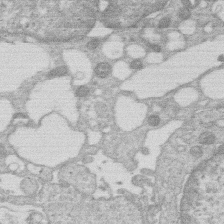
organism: Human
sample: Macrophage cells